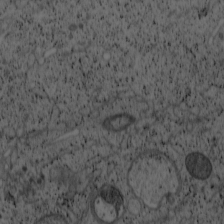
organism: African green monkey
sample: COS-7 cells